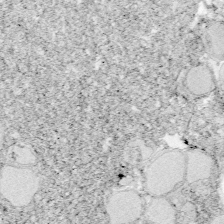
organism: Zebrafish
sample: Whole-Brain